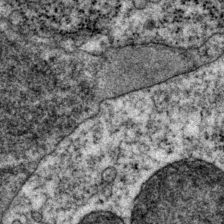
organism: P. pacificus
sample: Pharynx